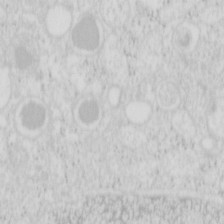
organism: Mouse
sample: Pancreas